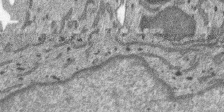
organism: Human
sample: Lung epithelial cells infected with SARS-CoV-2